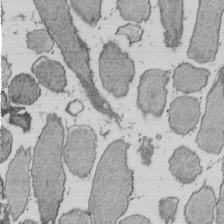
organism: E. coli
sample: Bacterial nucleoid